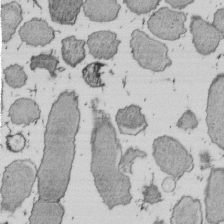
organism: E. coli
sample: Bacterial nucleoid